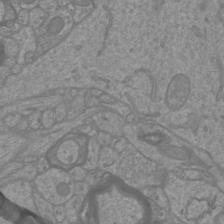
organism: Mouse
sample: Cortical neurons